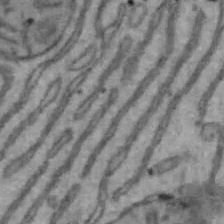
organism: Mouse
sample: Liver